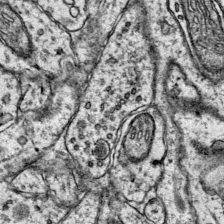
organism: Mouse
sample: Primary visual cortex